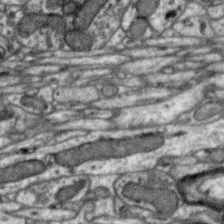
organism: Zebra finch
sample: Brain